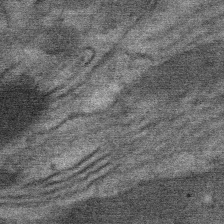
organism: Mouse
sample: Mouse Salivary gland